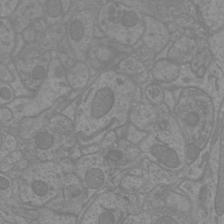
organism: Mouse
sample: Cortical neurons